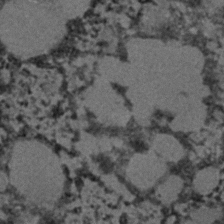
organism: C. elegans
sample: C. elegans embryo